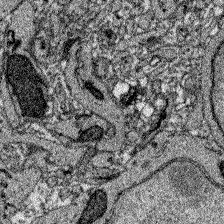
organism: Zebrafish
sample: Larval olfactory bulb